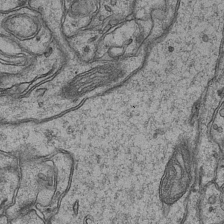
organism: Mouse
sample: CA1 Hippocampus